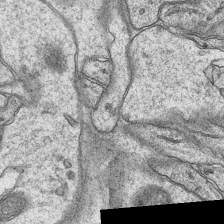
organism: Mouse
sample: CA1 Hippocampus